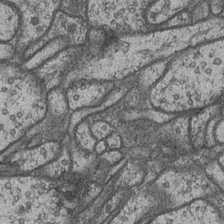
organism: Drosophila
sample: Optic medulla